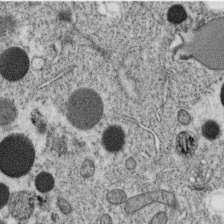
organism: C. elegans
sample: C. elegans oocyte; sperm cells